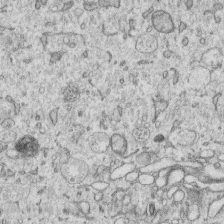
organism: Human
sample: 1205lu cells